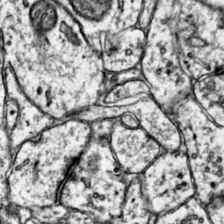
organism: Mouse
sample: Primary visual cortex